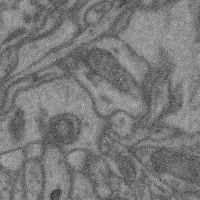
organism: Mouse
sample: Cerebral cortex